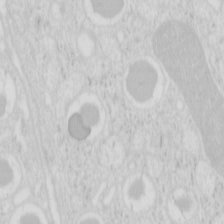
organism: Mouse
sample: Pancreas